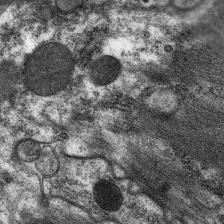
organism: C. elegans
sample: Pharynx